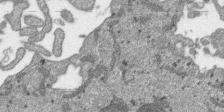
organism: Human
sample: Lung epithelial cells infected with SARS-CoV-2